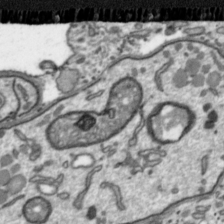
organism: Toxoplasma gondii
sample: Parasites in a vacuole inside a host cell